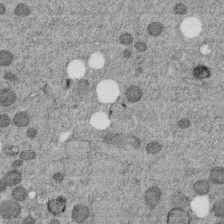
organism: C. elegans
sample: C. elegans embryo early stage